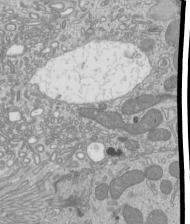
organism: Mouse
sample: Cilia; mouse epididymis